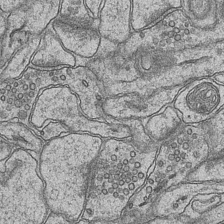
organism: Mouse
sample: CA1 Hippocampus